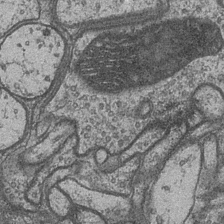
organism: Drosophila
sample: Optic medulla